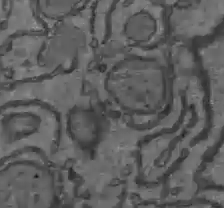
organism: C57BL Mouse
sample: Liver